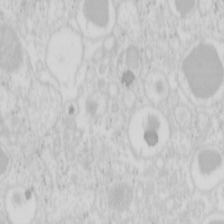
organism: Mouse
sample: Pancreas